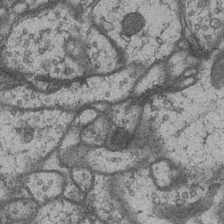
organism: Drosophila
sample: Optic medulla